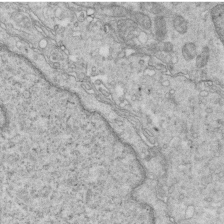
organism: Mouse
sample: Multiciliated cells